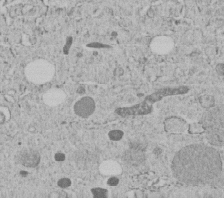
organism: C. elegans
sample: C. elegans embryo early stage